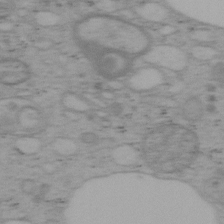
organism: Mouse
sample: OT-I killer T cells with ID8 ovarian cancer cells